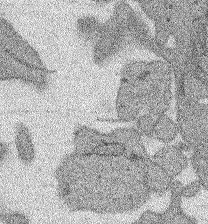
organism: Human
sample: HeLa cells